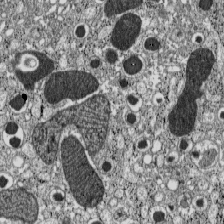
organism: C57BL Mouse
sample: Pancreatic islet